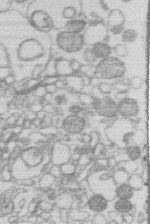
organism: Human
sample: Macrophage cells